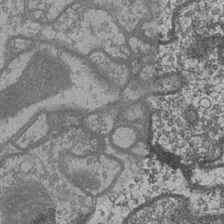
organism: Drosophila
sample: Optic medulla